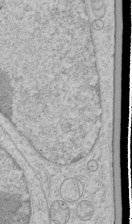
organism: Human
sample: Mitochondria in HCT116 cells